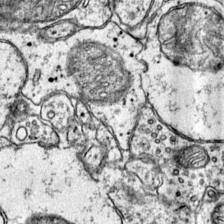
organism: Mouse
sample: Primary visual cortex